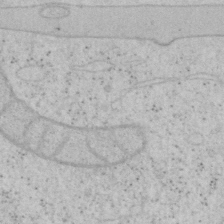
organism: Human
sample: HeLa cells